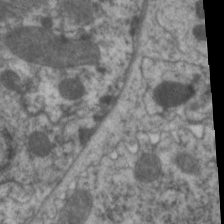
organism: C. elegans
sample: Pharynx